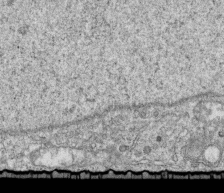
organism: Human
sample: HeLa cell HIV synapse